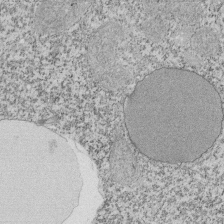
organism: Tetrahymena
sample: Cilia in tetrahymena